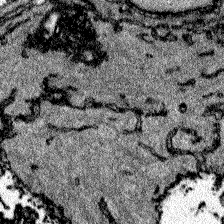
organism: Zebrafish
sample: Larval olfactory bulb